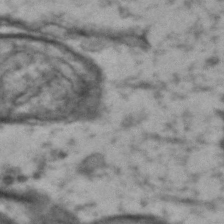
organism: Drosophila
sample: Brain